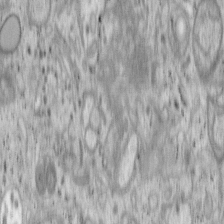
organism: Human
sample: HeLa cells